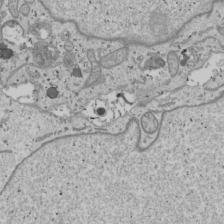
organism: Human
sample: Mitochondria in U2OS cells